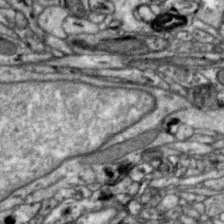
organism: Zebra finch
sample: Brain